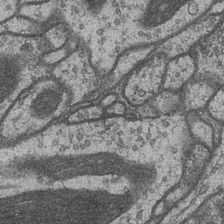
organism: Drosophila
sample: Optic medulla